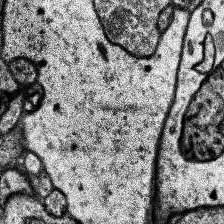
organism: Human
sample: Temporal Lobe